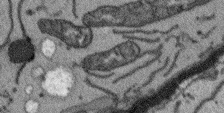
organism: Arabidopsis thaliana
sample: Root tip